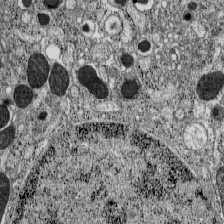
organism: C57BL Mouse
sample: Pancreatic islet